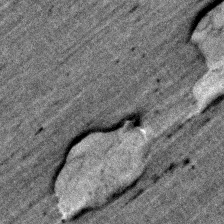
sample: Trachea